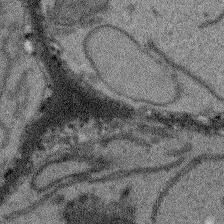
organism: Arabidopsis thaliana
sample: Root tip